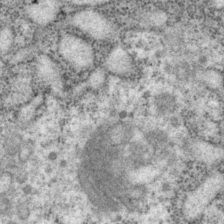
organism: P. pacificus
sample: Pharynx